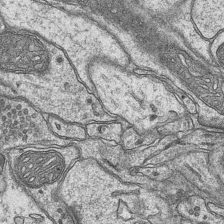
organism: Mouse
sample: CA1 Hippocampus